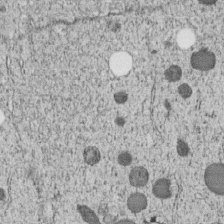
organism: C. elegans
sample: C. elegans embryo early stage